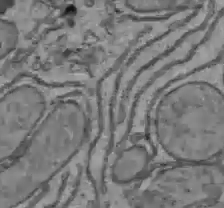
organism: C57BL Mouse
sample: Liver